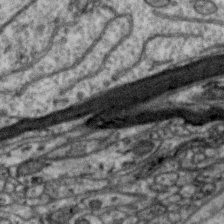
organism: Zebra finch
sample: Brain